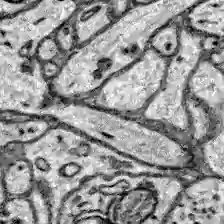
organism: Zebrafish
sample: Brain